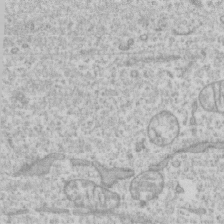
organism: Human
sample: CRL-1474